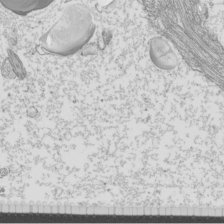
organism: Mouse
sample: Cilia; mouse epididymis